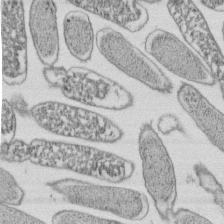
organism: E. coli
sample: Bacterial nucleoid